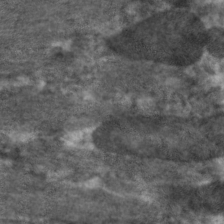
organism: C. elegans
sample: Pharynx